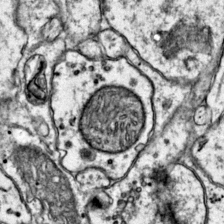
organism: Mouse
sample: Primary visual cortex